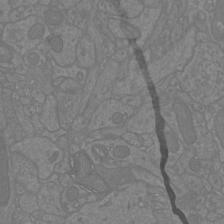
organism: Mouse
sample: Cortical neurons